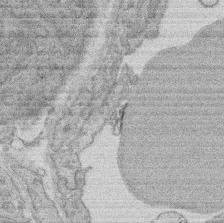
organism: Rat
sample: Salivary granule